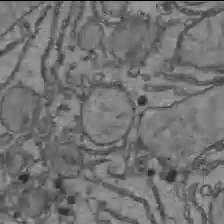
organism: C57BL Mouse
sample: Liver